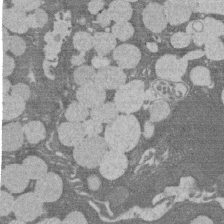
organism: Rat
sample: Salivary granule